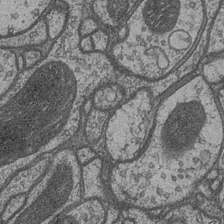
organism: Drosophila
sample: Optic medulla